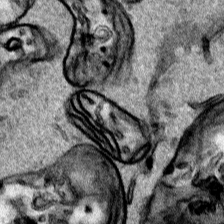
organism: Human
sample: Mitochondria in HCT116 cells